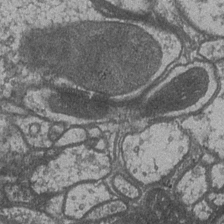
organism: Drosophila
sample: Optic medulla